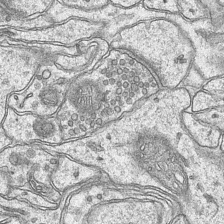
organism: Mouse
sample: CA1 Hippocampus